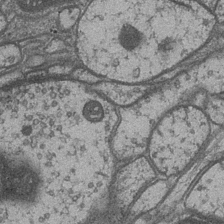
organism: Drosophila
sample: Optic medulla